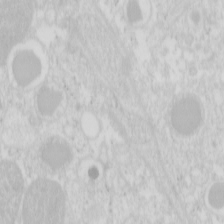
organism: Mouse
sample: Pancreas